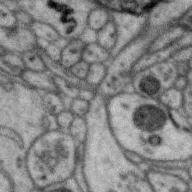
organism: Zebra finch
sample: Brain